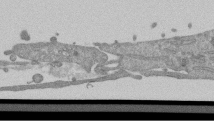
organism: Mouse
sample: ED-1 cell nuclei; centrioles